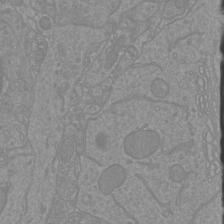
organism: Mouse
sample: Cortical neurons